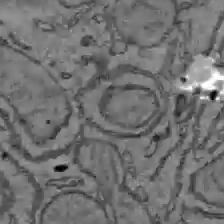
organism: C57BL Mouse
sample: Liver